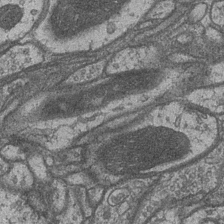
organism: Drosophila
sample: Optic medulla